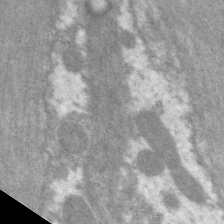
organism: C. elegans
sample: Pharynx